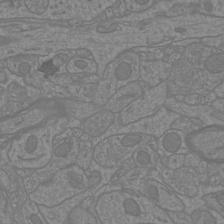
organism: Mouse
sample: Cortical neurons